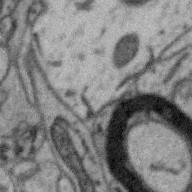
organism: Zebra finch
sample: Brain